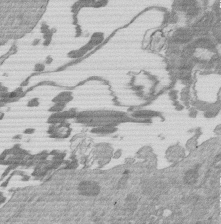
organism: Mouse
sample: Dividing mouse embryo 1 cell stage